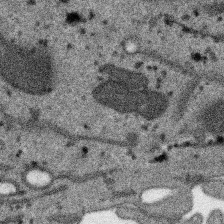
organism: Human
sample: Lung epithelial cells infected with SARS-CoV-2